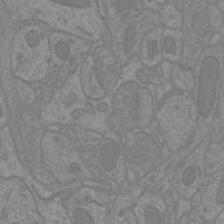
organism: Mouse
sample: Cortical neurons